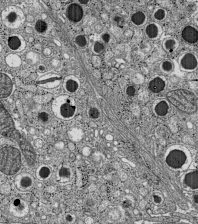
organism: C57BL Mouse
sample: Pancreatic islet